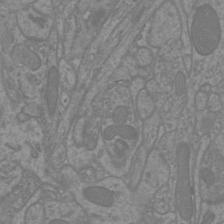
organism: Mouse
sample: Cortical neurons